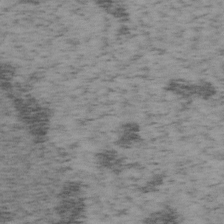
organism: Mouse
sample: OT-I killer T cells with ID8 ovarian cancer cells